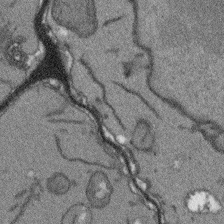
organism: Arabidopsis thaliana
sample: Root tip